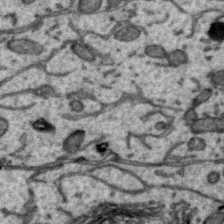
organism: Zebra finch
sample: Brain